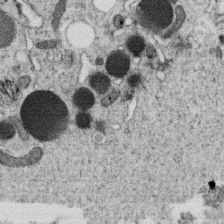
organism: C. elegans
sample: C. elegans oocyte; sperm cells